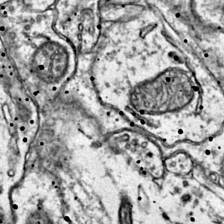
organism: Mouse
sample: Primary visual cortex